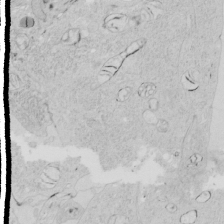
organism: Human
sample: Mitochondria in HCT116 cells